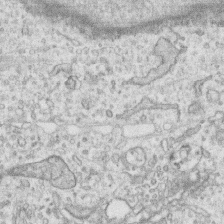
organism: Human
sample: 1205lu cells